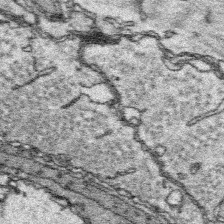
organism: Platynereis dumerilii